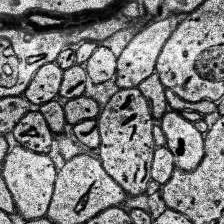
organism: Human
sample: Temporal Lobe